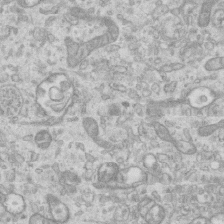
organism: Mouse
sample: Centriole in ependymal cells